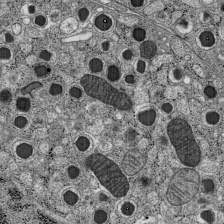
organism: C57BL Mouse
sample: Pancreatic islet